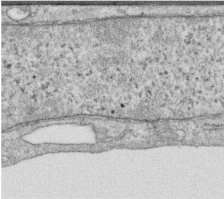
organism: Human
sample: Centriole in RPE cells